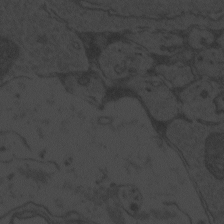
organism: Zebrafish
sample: Macrophage infected with Toxoplasma gondii